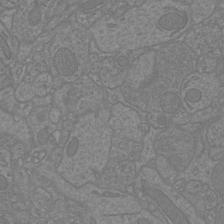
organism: Mouse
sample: Cortical neurons